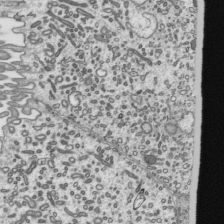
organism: Mouse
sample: Mouse epididymis efferent ductule cilia